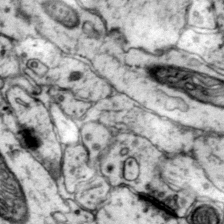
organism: Mouse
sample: Primary visual cortex